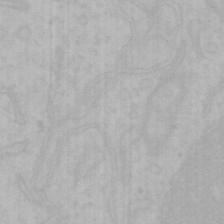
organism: Mouse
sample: Choroid plexus